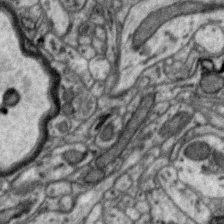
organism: Zebra finch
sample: Brain